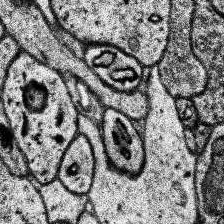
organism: Human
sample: Temporal Lobe